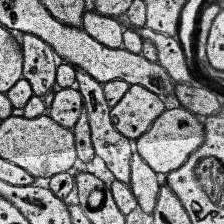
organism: Human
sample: Temporal Lobe